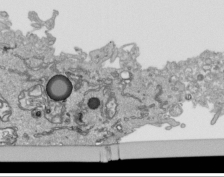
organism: Human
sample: Mitochondria in HCT116 cells